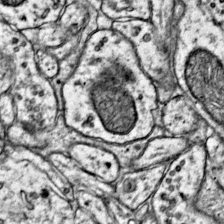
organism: Mouse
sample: Primary visual cortex